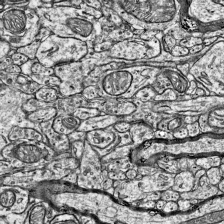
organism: Mouse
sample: Visual Cortex